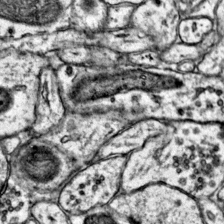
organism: Mouse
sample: Primary visual cortex